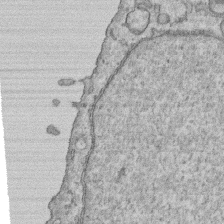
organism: Human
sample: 1205lu cells